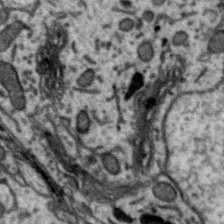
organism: Zebra finch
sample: Brain